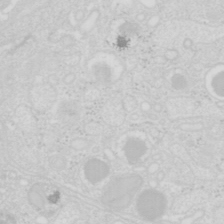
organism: Mouse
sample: Pancreas